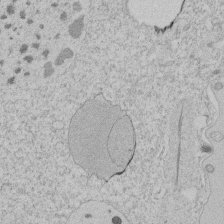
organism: Tetrahymena